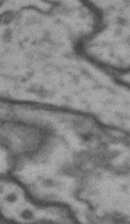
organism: Drosophila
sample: Brain